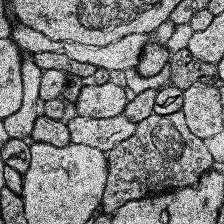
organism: Human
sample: Temporal Lobe